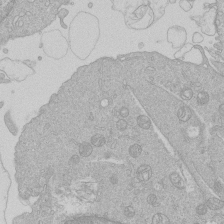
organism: Human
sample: Macrophage cells